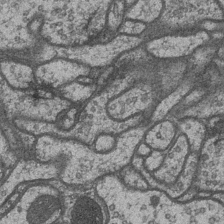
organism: Drosophila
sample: Optic medulla